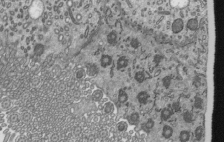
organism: Mouse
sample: Mouse epididymis efferent ductule cilia